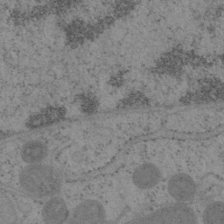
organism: Mouse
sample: OT-I killer T cells with ID8 ovarian cancer cells